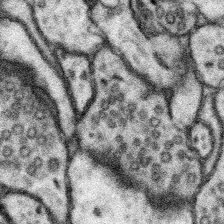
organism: Mouse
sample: Somatosensory cortex neuropil